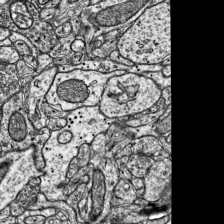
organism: Mouse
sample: Visual Cortex